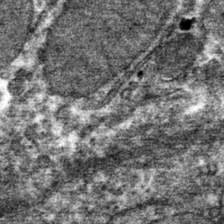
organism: Mouse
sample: Mouse hepatocytes